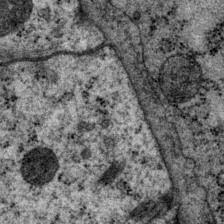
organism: P. pacificus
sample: Pharynx